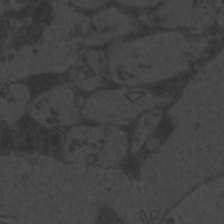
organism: Zebrafish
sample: Macrophage infected with Toxoplasma gondii